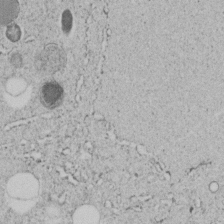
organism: C. elegans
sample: C. elegans embryo early stage